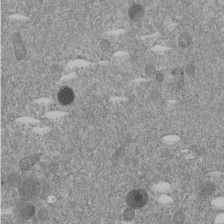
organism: C. elegans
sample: C. elegans embryo early stage